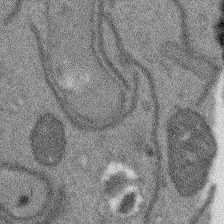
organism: Arabidopsis thaliana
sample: Root tip